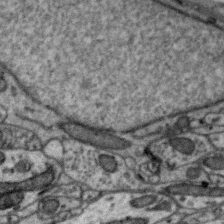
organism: Zebra finch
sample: Brain